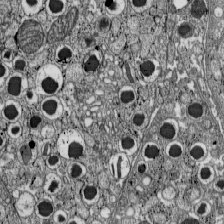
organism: C57BL Mouse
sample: Pancreatic islet